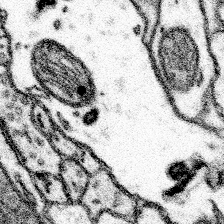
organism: Mouse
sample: Somatosensory cortex neuropil